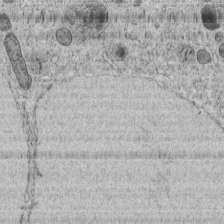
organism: C. elegans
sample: C. elegans embryo early stage